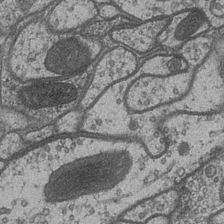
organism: Drosophila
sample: Optic medulla